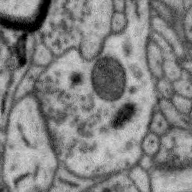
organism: Zebra finch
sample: Brain